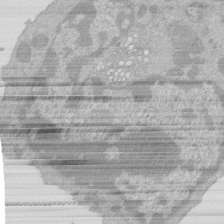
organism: Mouse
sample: Activated Pmel transgenic CD8+ T Cells